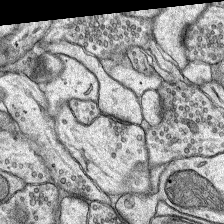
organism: Rat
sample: Hippocampus